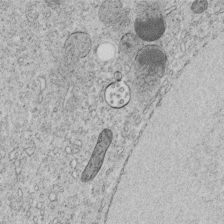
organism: C. elegans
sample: C. elegans embryo early stage